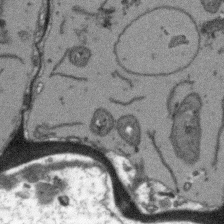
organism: Arabidopsis thaliana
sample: Root tip